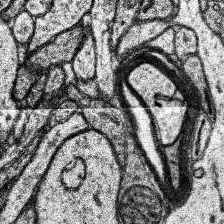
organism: Human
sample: Temporal Lobe